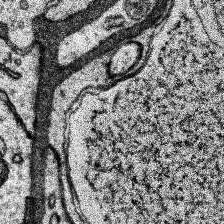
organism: Human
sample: Temporal Lobe